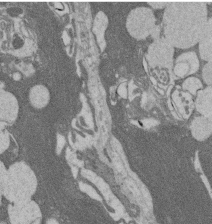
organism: Rat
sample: Salivary granule